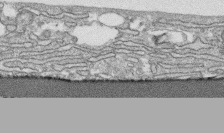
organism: Human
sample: CRL-1474